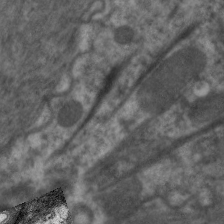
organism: C. elegans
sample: Pharynx